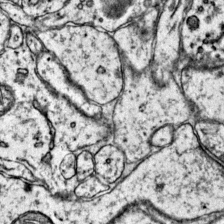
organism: Mouse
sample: Primary visual cortex